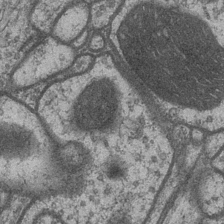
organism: Drosophila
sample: Optic medulla